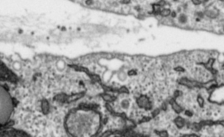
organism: Toxoplasma gondii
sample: Parasites in a vacuole inside a host cell